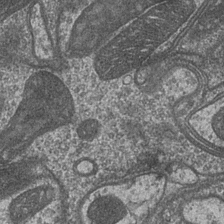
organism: Drosophila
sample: Optic medulla